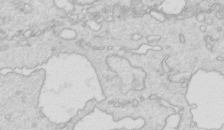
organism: Mouse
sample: Multiciliated cells